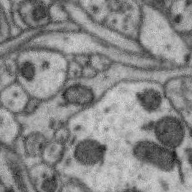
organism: Zebra finch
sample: Brain